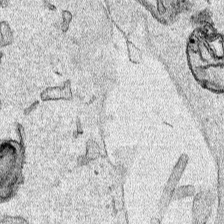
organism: Human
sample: Mitochondria in HCT116 cells